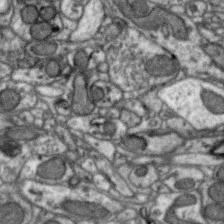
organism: Zebra finch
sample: Brain